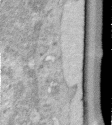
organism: Human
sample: Centriole in RPE cells